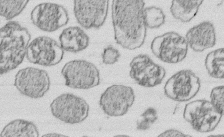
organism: E. coli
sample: Bacterial nucleoid